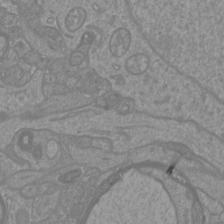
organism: Mouse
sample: Cortical neurons